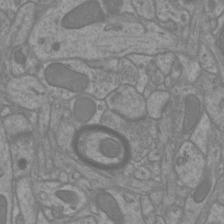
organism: Mouse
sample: Cortical neurons